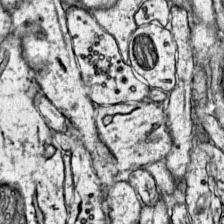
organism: Mouse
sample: Primary visual cortex